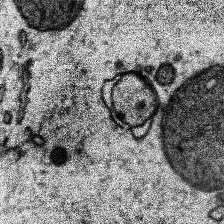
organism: Human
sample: Temporal Lobe